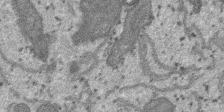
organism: Human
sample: Lung epithelial cells infected with SARS-CoV-2